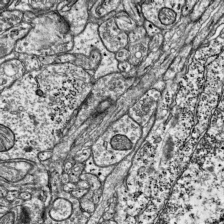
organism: Mouse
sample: Visual Cortex